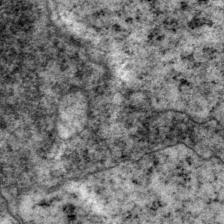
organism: P. pacificus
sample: Pharynx